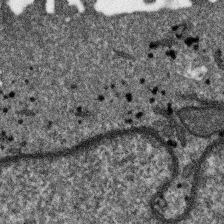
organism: Human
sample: Lung epithelial cells infected with SARS-CoV-2